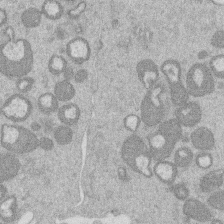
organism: Mouse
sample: Dividing mouse embryo 1 cell stage